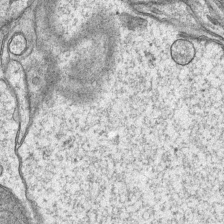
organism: Mouse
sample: CA1 Hippocampus